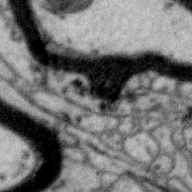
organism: Zebra finch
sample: Brain